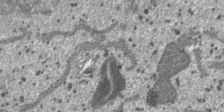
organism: Human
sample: Lung epithelial cells infected with SARS-CoV-2